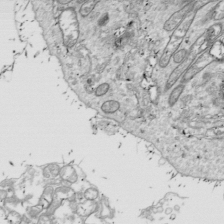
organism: Drosophila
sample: Cell division; meiosis; drosophila spermatocytes